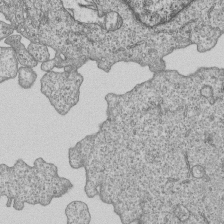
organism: Human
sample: MDA-MB-231 cells